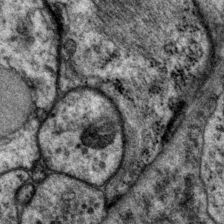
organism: P. pacificus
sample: Pharynx